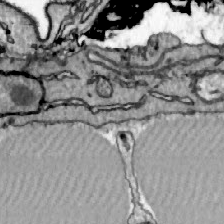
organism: Zebrafish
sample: Actinotrichia fibers